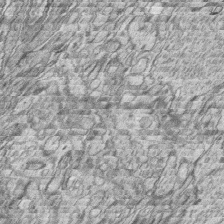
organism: Zebrafish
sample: synaptic ribbons in rod cells and cone cells